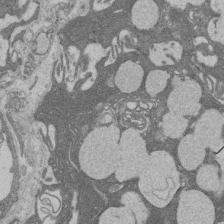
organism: Rat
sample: Salivary granule